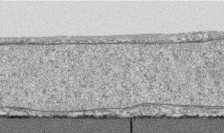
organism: Human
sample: CRL-1474